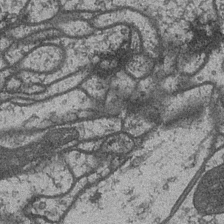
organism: Drosophila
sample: Optic medulla